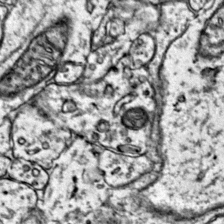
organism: Mouse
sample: Primary visual cortex